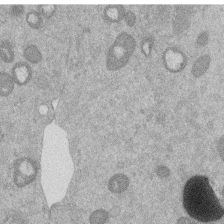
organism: Mouse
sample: Dividing mouse embryo 1 cell stage